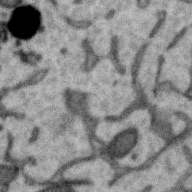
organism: Zebra finch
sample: Brain